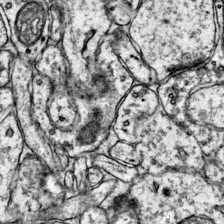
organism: Mouse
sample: Primary visual cortex